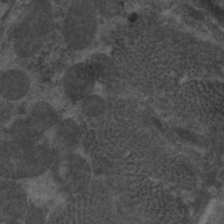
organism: C. elegans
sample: Pharynx